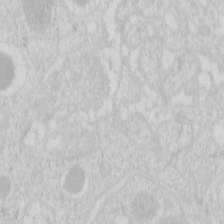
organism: Mouse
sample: Pancreas